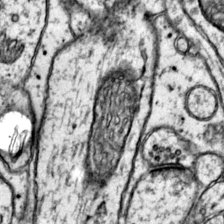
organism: Mouse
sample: Primary visual cortex